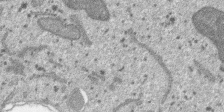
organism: Human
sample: Lung epithelial cells infected with SARS-CoV-2